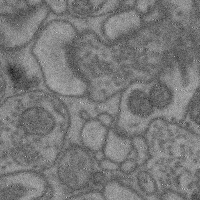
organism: Mouse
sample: Cerebral cortex